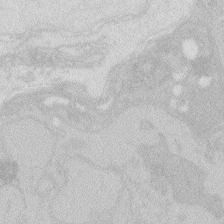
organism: Zebrafish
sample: Macrophage